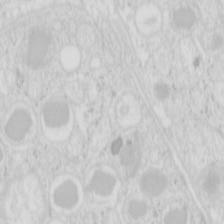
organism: Mouse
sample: Pancreas